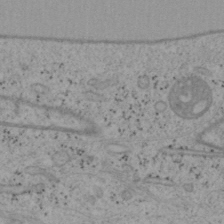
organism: Human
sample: HeLa cells